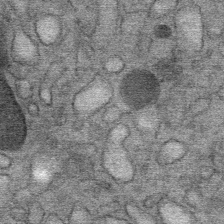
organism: Mouse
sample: Mouse Salivary gland